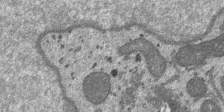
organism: Human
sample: Lung epithelial cells infected with SARS-CoV-2